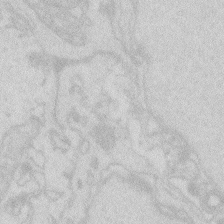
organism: Zebrafish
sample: Macrophage